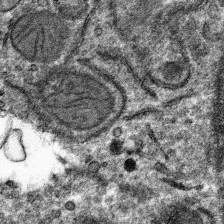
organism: Mouse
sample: Mouse hepatocytes